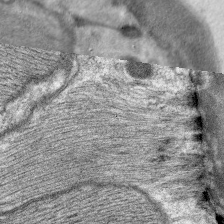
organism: C. elegans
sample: Pharynx